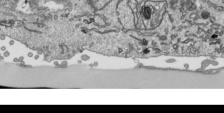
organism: Human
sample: Mitochondria in HCT116 cells